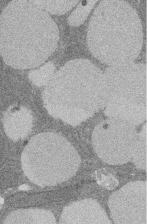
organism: Rat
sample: Salivary granule